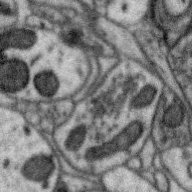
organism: Zebra finch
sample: Brain